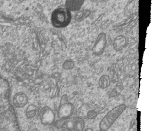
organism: Human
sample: MDA-MB-231 cells